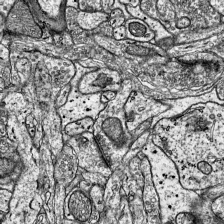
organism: Mouse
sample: Visual Cortex